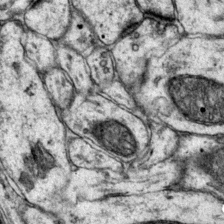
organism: Mouse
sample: Primary visual cortex